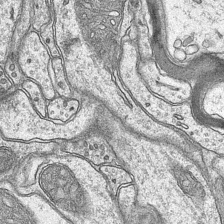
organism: Mouse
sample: CA1 Hippocampus